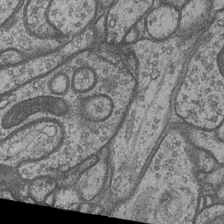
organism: Drosophila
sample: Optic medulla